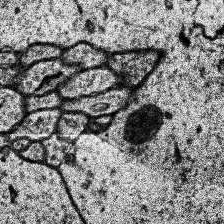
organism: Human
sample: Temporal Lobe